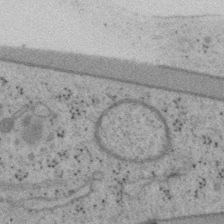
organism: Human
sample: HeLa cells